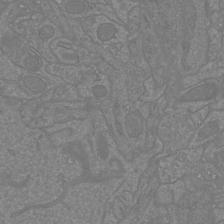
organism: Mouse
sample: Cortical neurons